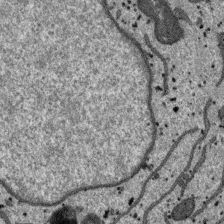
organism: Human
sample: Lung epithelial cells, uninfected (mock) control